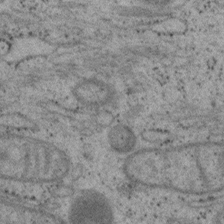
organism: Human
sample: HeLa cells